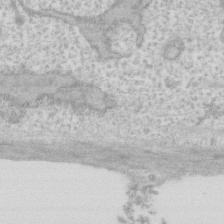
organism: Human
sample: Fibroblast cells